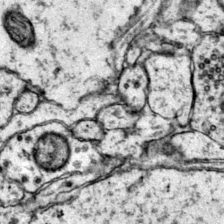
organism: Mouse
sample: Primary visual cortex